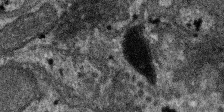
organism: Human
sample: Lung epithelial cells infected with SARS-CoV-2